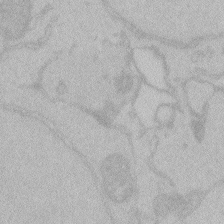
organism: Zebrafish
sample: Macrophage infected with Toxoplasma gondii